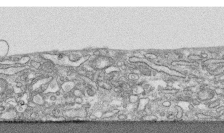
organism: Human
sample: CRL-1474